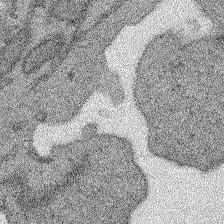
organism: Human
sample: HeLa cells